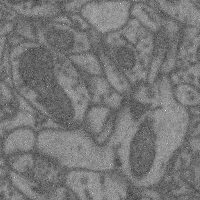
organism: Mouse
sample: Cerebral cortex